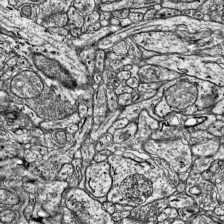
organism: Mouse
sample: Visual Cortex